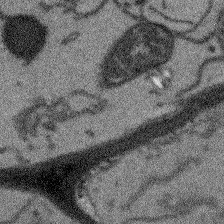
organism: Arabidopsis thaliana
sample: Root tip